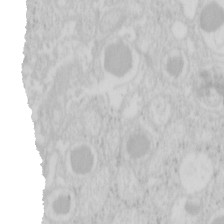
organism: Mouse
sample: Pancreas